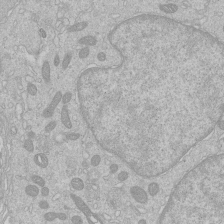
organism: Human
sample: Macrophage cells